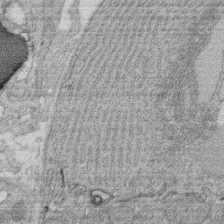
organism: Rat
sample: Salivary granule